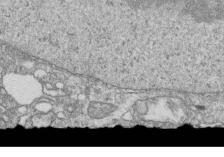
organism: Human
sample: HeLa cell HIV synapse